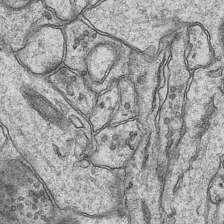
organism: Mouse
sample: CA1 Hippocampus